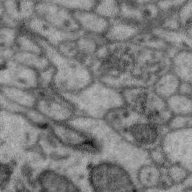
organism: Zebra finch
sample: Brain